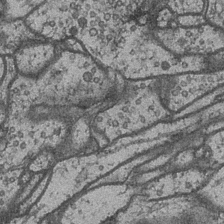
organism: Drosophila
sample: Optic medulla